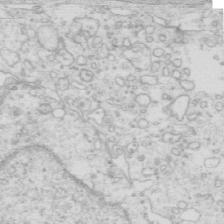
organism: Mouse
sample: Multiciliated cells